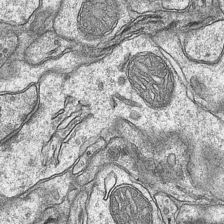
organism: Mouse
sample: CA1 Hippocampus